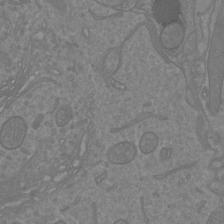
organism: Mouse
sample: Cortical neurons